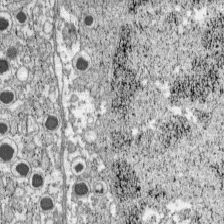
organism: C57BL Mouse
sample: Pancreatic islet